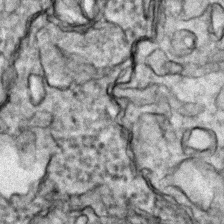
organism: Zebrafish